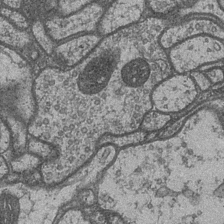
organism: Drosophila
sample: Optic medulla